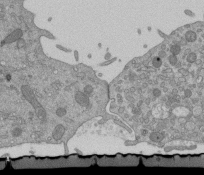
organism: Mouse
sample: ED-1 cell nuclei; centrioles